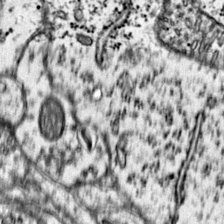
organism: Mouse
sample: Primary visual cortex